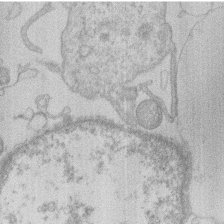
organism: Human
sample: Macrophage cells